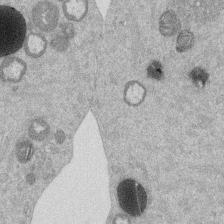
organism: Mouse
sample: Dividing mouse embryo 1 cell stage